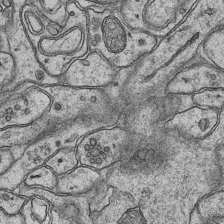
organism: Mouse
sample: CA1 Hippocampus